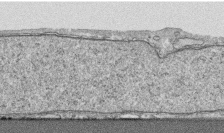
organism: Human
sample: CRL-1474